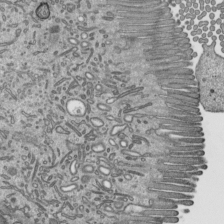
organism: Mouse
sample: Mouse epididymis efferent ductule cilia